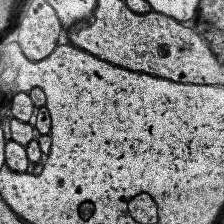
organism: Human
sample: Temporal Lobe